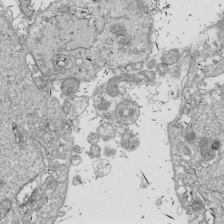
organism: Drosophila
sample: Cell division; meiosis; drosophila spermatocytes